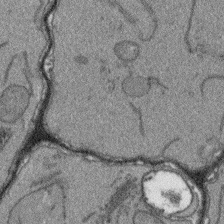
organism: Arabidopsis thaliana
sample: Root tip